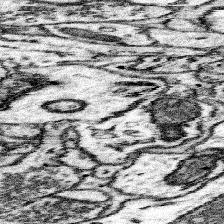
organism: Mouse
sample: Somatosensory cortex neuropil